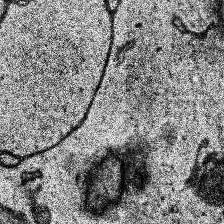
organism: Human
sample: Temporal Lobe